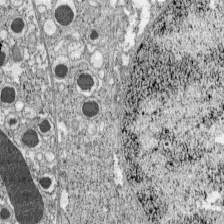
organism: C57BL Mouse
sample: Pancreatic islet